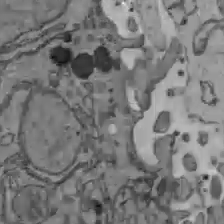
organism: C57BL Mouse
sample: Liver